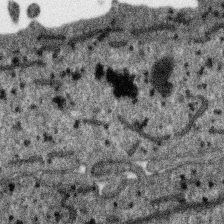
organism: Human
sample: Lung epithelial cells infected with SARS-CoV-2